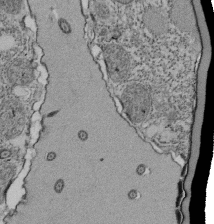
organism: Tetrahymena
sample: Cilia in tetrahymena